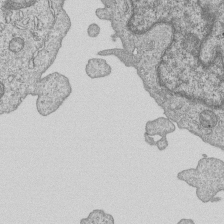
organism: Human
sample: MDA-MB-231 cells